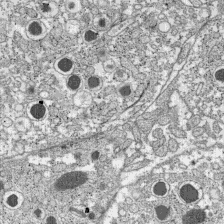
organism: C57BL Mouse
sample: Pancreatic islet